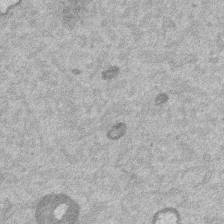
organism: Mouse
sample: Dividing mouse embryo 1 cell stage